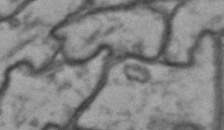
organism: Drosophila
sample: Brain